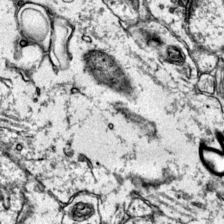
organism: Mouse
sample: Primary visual cortex